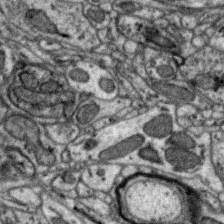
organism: Zebra finch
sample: Brain